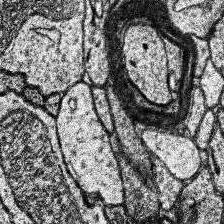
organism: Human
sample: Temporal Lobe